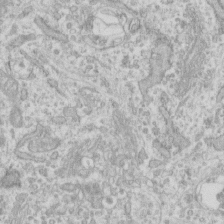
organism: Human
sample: Fibroblast cells